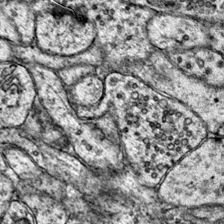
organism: Mouse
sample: Primary visual cortex